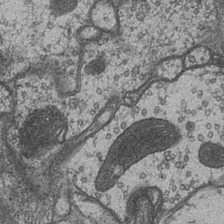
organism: Drosophila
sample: Optic medulla